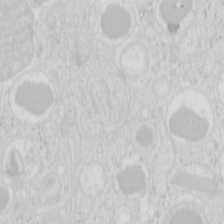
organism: Mouse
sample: Pancreas